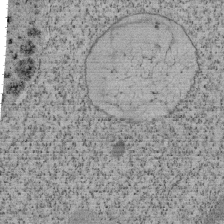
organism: Tetrahymena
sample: Cilia in tetrahymena